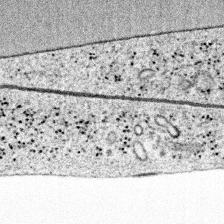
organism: Human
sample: HeLa cells